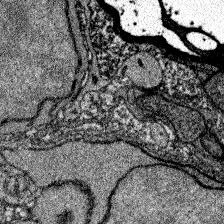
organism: Zebrafish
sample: Larval olfactory bulb